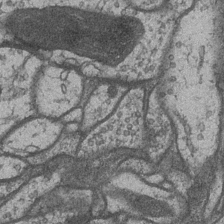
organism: Drosophila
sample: Optic medulla